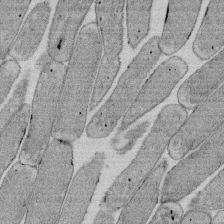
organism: E. coli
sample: Bacterial nucleoid